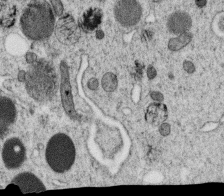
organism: C. elegans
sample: C. elegans oocyte; sperm cells